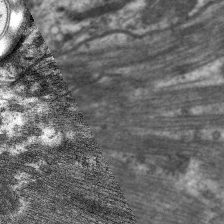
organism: C. elegans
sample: Pharynx